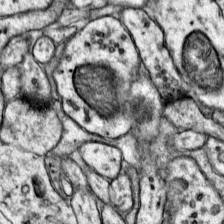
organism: Mouse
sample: Primary visual cortex